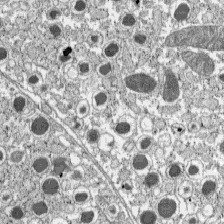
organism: C57BL Mouse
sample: Pancreatic islet